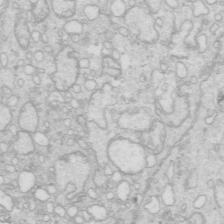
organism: Mouse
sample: Multiciliated cells